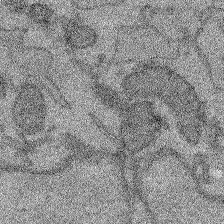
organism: Human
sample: HeLa cells